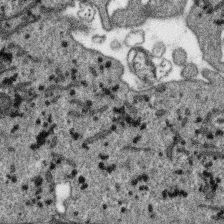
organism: Human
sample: Lung epithelial cells infected with SARS-CoV-2